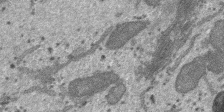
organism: Human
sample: Lung epithelial cells infected with SARS-CoV-2